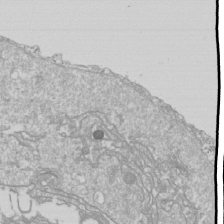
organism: Drosophila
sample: Cell division; meiosis; drosophila spermatocytes